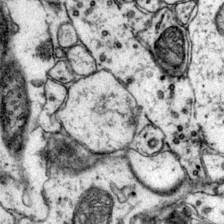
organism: Mouse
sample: Primary visual cortex